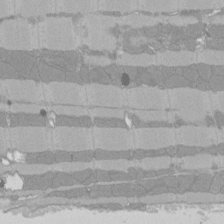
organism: Rat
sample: Left ventricle